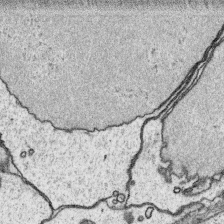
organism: Platynereis dumerilii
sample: Parapodia